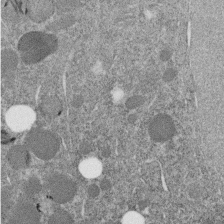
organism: C. elegans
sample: C. elegans embryo early stage